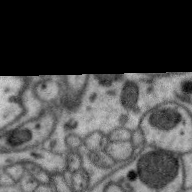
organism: Zebra finch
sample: Brain